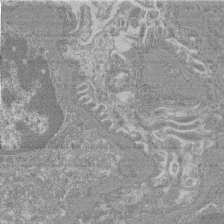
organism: Mouse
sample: Glomerulus